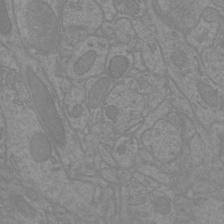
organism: Mouse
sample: Cortical neurons